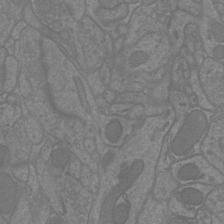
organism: Mouse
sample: Cortical neurons